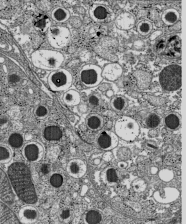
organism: C57BL Mouse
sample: Pancreatic islet